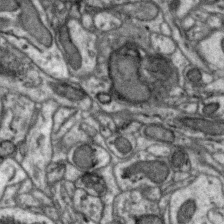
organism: Zebra finch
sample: Brain